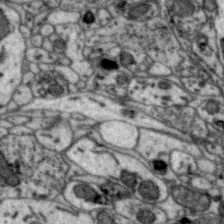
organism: Zebra finch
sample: Brain